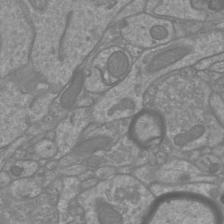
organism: Mouse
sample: Cortical neurons